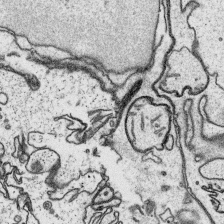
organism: Platynereis dumerilii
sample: Parapodia